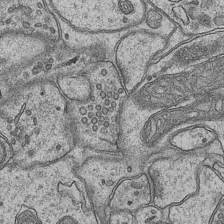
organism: Mouse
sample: CA1 Hippocampus